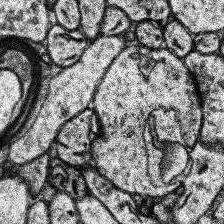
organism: Human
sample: Temporal Lobe